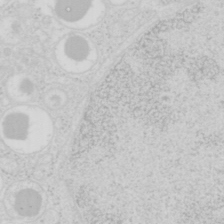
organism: Mouse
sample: Pancreas